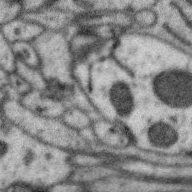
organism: Zebra finch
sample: Brain